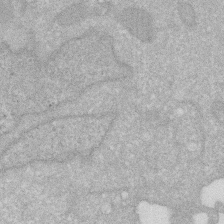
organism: Human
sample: HIV infected U937 cells